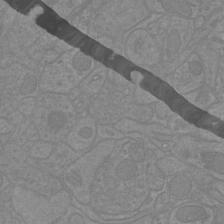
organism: Mouse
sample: Cortical neurons